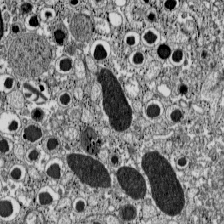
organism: C57BL Mouse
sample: Pancreatic islet